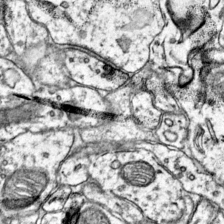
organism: Mouse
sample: Primary visual cortex